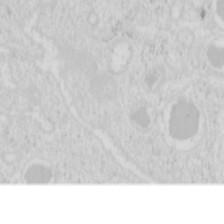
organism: Mouse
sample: Pancreas